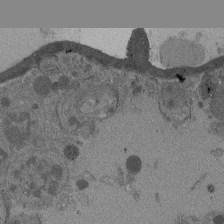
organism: Drosophila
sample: Antenna